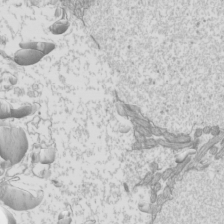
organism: Mouse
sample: Cilia; mouse epididymis